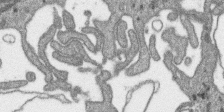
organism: Human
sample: Lung epithelial cells infected with SARS-CoV-2